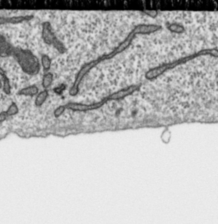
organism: Toxoplasma gondii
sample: Parasites in a vacuole inside a host cell